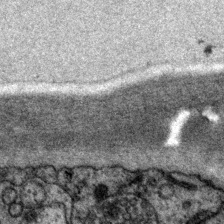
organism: P. pacificus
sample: Pharynx